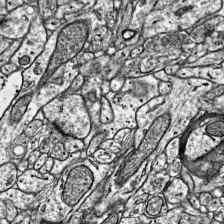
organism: Mouse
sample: Visual Cortex